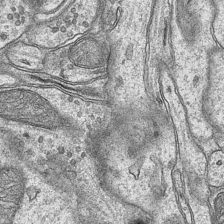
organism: Mouse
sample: CA1 Hippocampus